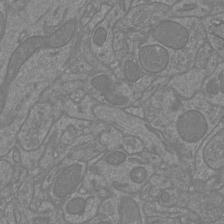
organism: Mouse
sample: Cortical neurons